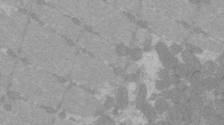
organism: C57BL Mouse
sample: Tibialis anterior muscle cell